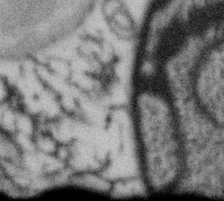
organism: Gemmata obscuriglobus